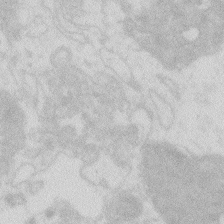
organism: Zebrafish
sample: Macrophage